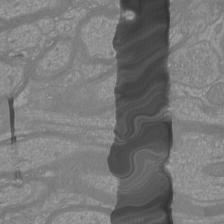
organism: Mouse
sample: Cortical neurons